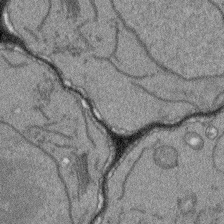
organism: Arabidopsis thaliana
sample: Root tip